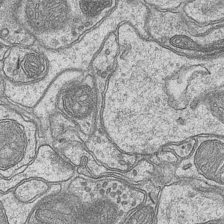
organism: Mouse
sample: CA1 Hippocampus